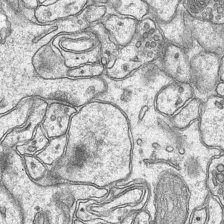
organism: Mouse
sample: CA1 Hippocampus